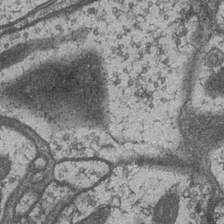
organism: Drosophila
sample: Optic medulla